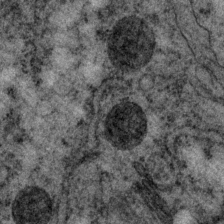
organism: P. pacificus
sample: Pharynx